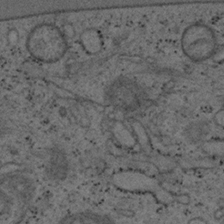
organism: Human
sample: HeLa cells